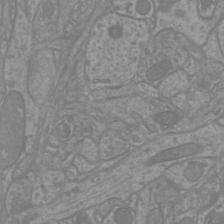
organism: Mouse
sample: Cortical neurons